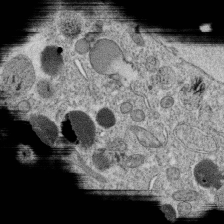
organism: C. elegans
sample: C. elegans oocyte; sperm cells